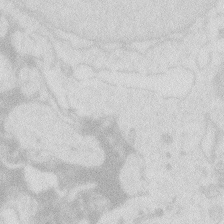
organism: Zebrafish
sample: Macrophage